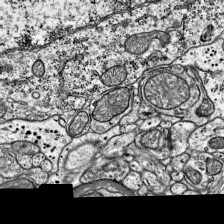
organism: Mouse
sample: Visual Cortex